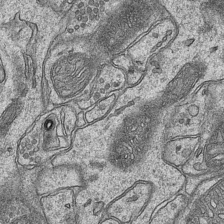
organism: Mouse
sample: CA1 Hippocampus